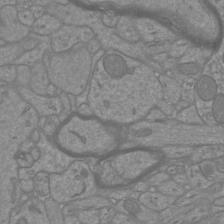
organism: Mouse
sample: Cortical neurons